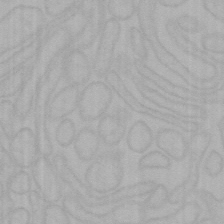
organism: Mouse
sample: Choroid plexus